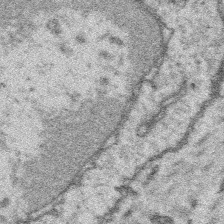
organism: Platynereis dumerilii